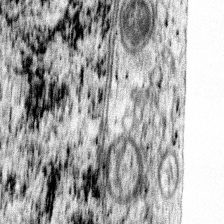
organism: Human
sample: HeLa cells